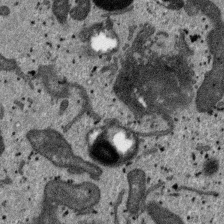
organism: Human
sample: Lung epithelial cells, uninfected (mock) control